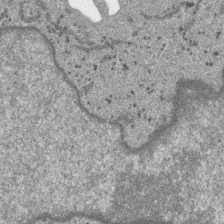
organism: Human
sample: Lung epithelial cells infected with SARS-CoV-2